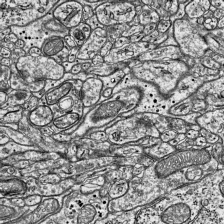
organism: Mouse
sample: Visual Cortex